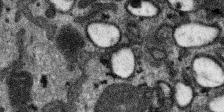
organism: Human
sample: Lung epithelial cells infected with SARS-CoV-2